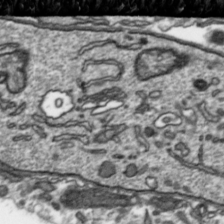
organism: Toxoplasma gondii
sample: Parasites in a vacuole inside a host cell